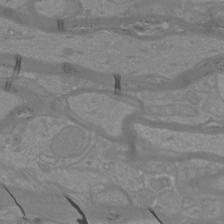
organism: Mouse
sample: Cortical neurons